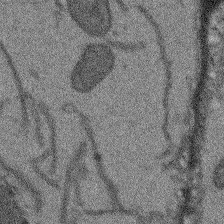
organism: Arabidopsis thaliana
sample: Root tip